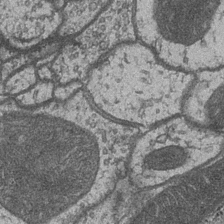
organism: Drosophila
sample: Optic medulla